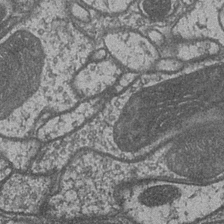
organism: Drosophila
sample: Optic medulla